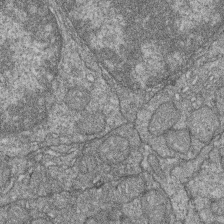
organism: Zebrafish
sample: Cilia; retinal pigment epithelium